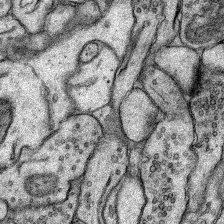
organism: Rat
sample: Hippocampus